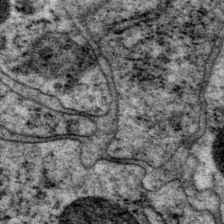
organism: P. pacificus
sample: Pharynx